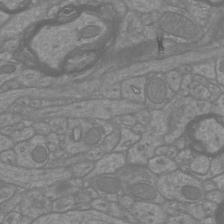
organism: Mouse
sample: Cortical neurons